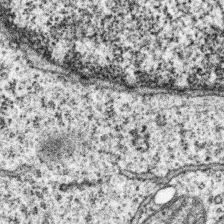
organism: Human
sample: HeLa cells